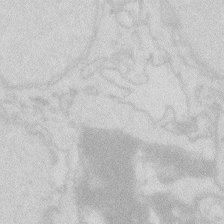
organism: Zebrafish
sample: Macrophage